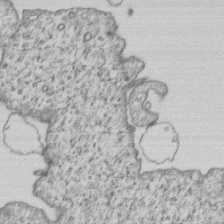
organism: Human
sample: MDA-MB-231 cells